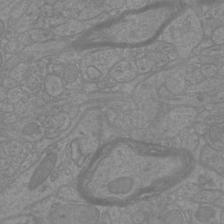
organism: Mouse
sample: Cortical neurons